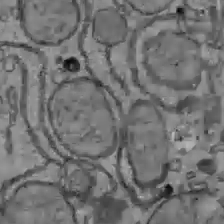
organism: C57BL Mouse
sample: Liver